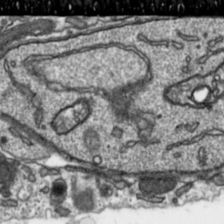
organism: Toxoplasma gondii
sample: Parasites in a vacuole inside a host cell